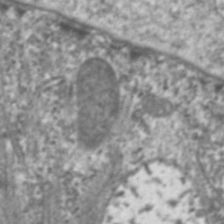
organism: C. elegans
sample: Pharynx